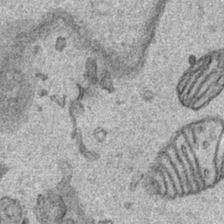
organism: Human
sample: Mitochondria in HCT116 cells